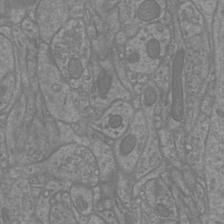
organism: Mouse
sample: Cortical neurons